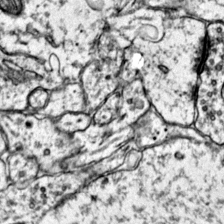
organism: Mouse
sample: Primary visual cortex